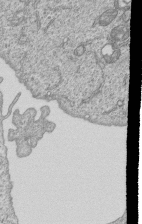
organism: Human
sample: MDA-MB-231 cells